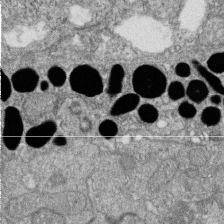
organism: Zebrafish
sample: Cilia; retinal pigment epithelium